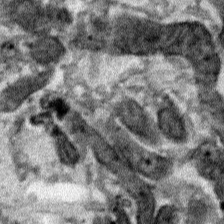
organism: Human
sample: Mitochondria in HCT116 cells